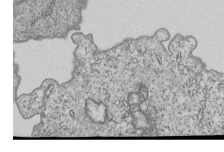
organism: Human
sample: MDA-MB-231 cells